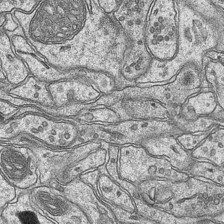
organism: Mouse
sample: CA1 Hippocampus